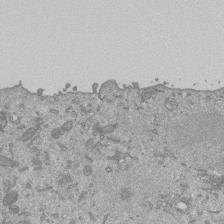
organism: Mouse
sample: ED-1 cell nuclei; centrioles